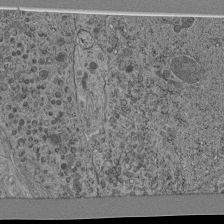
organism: C. elegans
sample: C. elegans pharynx